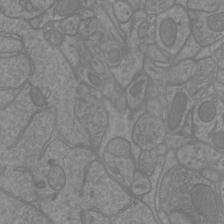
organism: Mouse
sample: Cortical neurons